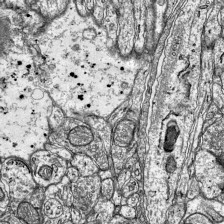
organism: Mouse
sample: Visual Cortex